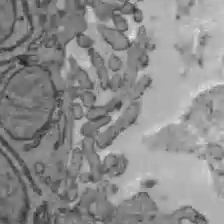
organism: C57BL Mouse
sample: Liver